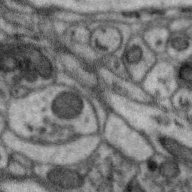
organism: Zebra finch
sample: Brain